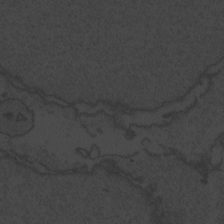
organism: Zebrafish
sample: Macrophage infected with Toxoplasma gondii